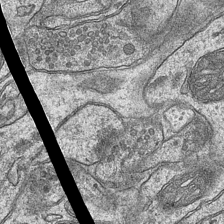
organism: Mouse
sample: CA1 Hippocampus